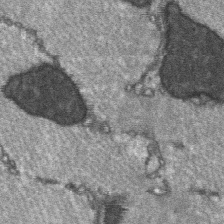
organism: C57BL Mouse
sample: Soleus